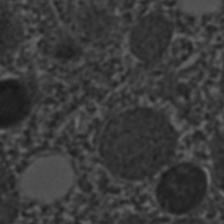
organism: C. elegans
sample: C. elegans embryo